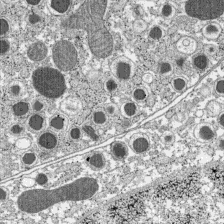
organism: C57BL Mouse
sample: Pancreatic islet